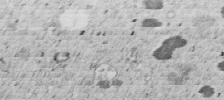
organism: C. elegans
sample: C. elegans embryo early stage